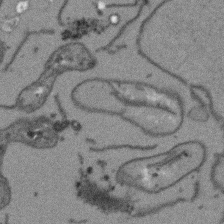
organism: Arabidopsis thaliana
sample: Root tip